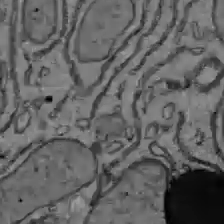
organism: C57BL Mouse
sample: Liver